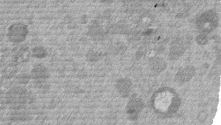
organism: Mouse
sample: Dividing mouse embryo 1 cell stage